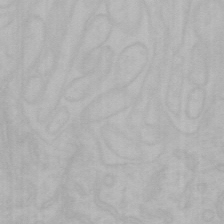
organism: Mouse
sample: Choroid plexus